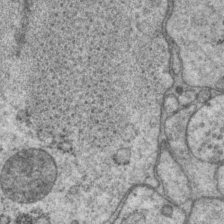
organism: P. pacificus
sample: Pharynx